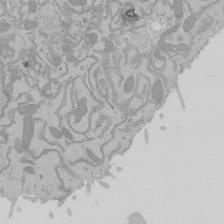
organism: Mouse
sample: Cancer cell death in ED-1 cells